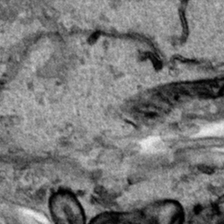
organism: Human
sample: Mitochondria in HCT116 cells